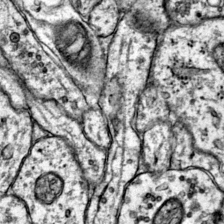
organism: Mouse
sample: Primary visual cortex